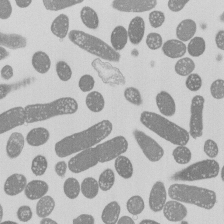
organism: E. coli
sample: Bacterial nucleoid